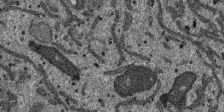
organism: Human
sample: Lung epithelial cells infected with SARS-CoV-2